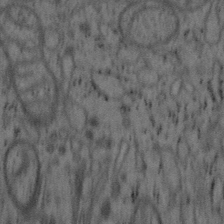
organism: Human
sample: HeLa cells